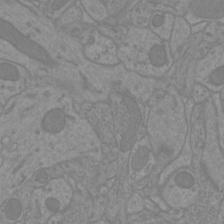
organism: Mouse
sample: Cortical neurons